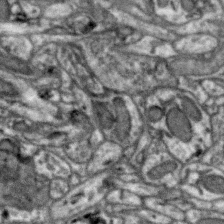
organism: Zebra finch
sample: Brain